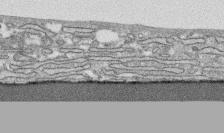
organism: Human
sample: CRL-1474